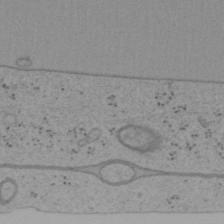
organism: Human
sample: HeLa cells